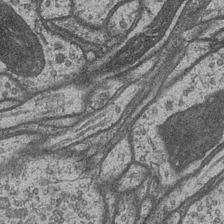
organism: Drosophila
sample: Optic medulla